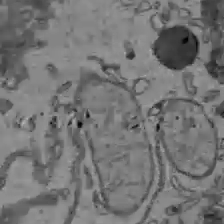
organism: C57BL Mouse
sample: Liver